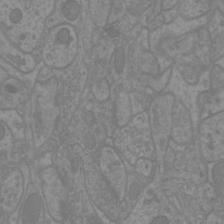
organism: Mouse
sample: Cortical neurons